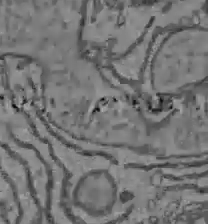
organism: C57BL Mouse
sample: Liver